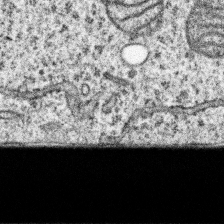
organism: Human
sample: HeLa cells